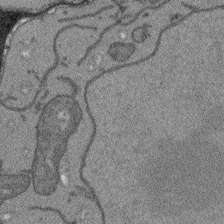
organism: Arabidopsis thaliana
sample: Root tip